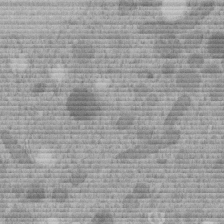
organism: C. elegans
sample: C. elegans embryo early stage